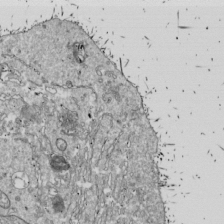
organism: Drosophila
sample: Cell division; meiosis; drosophila spermatocytes